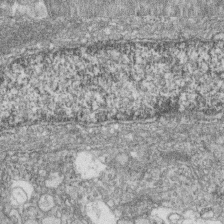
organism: Zebrafish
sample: Cilia; retinal pigment epithelium